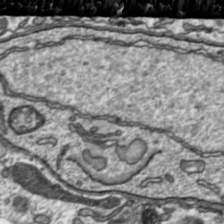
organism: Toxoplasma gondii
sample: Parasites in a vacuole inside a host cell